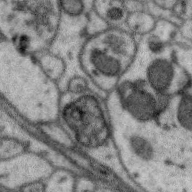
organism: Zebra finch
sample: Brain